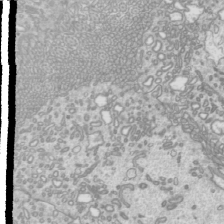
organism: Mouse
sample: Cilia; mouse epididymis